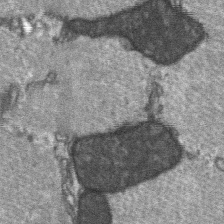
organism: C57BL Mouse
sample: Soleus